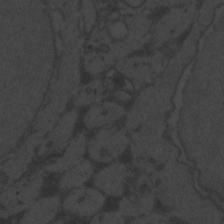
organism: Zebrafish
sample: Macrophage infected with Toxoplasma gondii